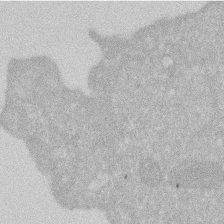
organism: Human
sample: HIV infected U937 cells